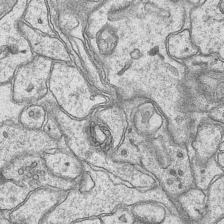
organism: Mouse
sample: CA1 Hippocampus